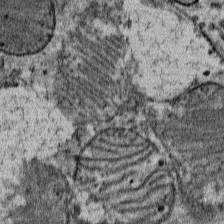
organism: Mouse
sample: Mouse Salivary gland